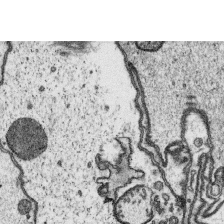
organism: Platynereis dumerilii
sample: Parapodia